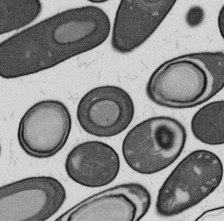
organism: B. subtilis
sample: Bacterial spore